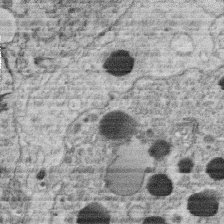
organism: C. elegans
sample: C. elegans oocyte; sperm cells